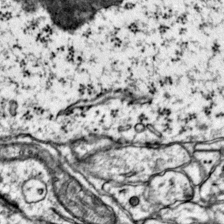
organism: Mouse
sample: Primary visual cortex